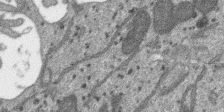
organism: Human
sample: Lung epithelial cells infected with SARS-CoV-2